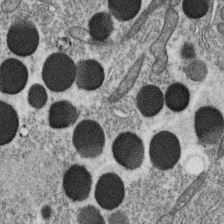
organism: C. elegans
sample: C. elegans oocyte; sperm cells